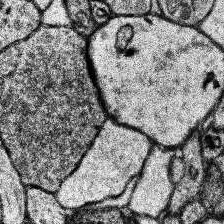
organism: Human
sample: Temporal Lobe